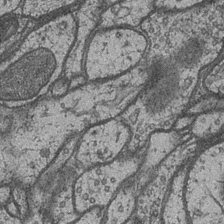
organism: Drosophila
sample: Optic medulla